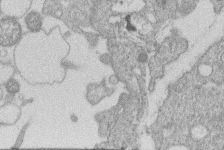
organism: Human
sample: Macrophage cells